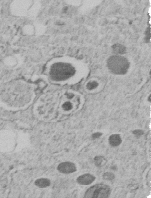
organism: C. elegans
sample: C. elegans embryo early stage